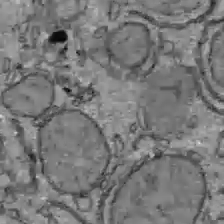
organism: C57BL Mouse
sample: Liver